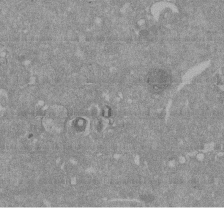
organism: Mouse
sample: ED-1 cell nuclei; centrioles